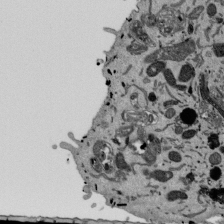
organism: Mouse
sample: ED-1 cell nuclei; centrioles